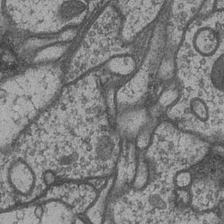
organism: Drosophila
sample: Optic medulla